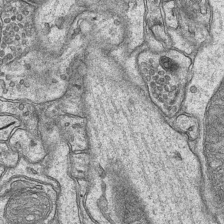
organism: Mouse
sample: CA1 Hippocampus